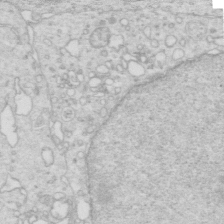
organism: Mouse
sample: Multiciliated cells